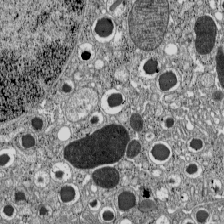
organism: C57BL Mouse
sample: Pancreatic islet